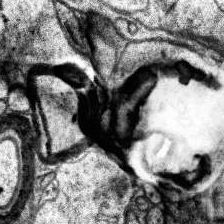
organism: Human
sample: Temporal Lobe